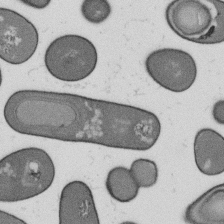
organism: B. subtilis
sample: Bacterial spore